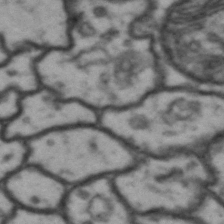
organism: Drosophila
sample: Brain